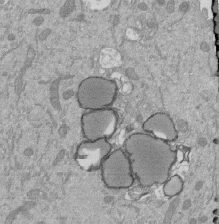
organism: Mouse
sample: ED-1 cell nuclei; centrioles